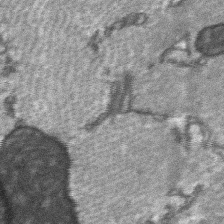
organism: C57BL Mouse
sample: Soleus